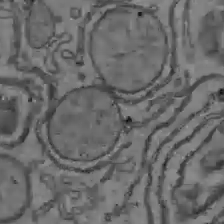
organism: C57BL Mouse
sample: Liver